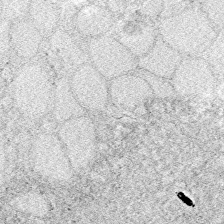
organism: Zebrafish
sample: Whole-Brain